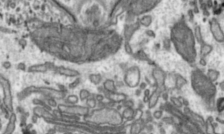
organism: Toxoplasma gondii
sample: Parasites in a vacuole inside a host cell